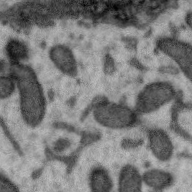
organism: Zebra finch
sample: Brain